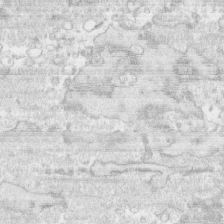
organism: Human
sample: CRL-1474